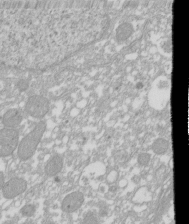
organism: Xenopus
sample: Cilia; centrioles in frog embryo cells